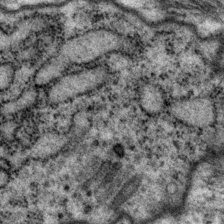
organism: P. pacificus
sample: Pharynx